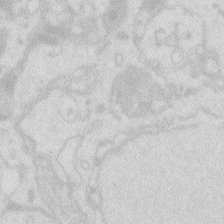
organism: Zebrafish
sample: Macrophage